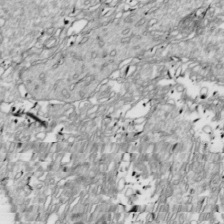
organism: Drosophila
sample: Cell division; meiosis; drosophila spermatocytes